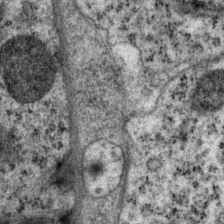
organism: P. pacificus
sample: Pharynx